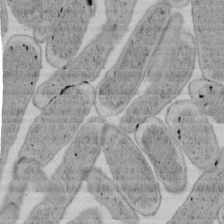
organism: E. coli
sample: Bacterial nucleoid